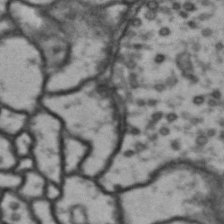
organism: Drosophila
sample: Brain